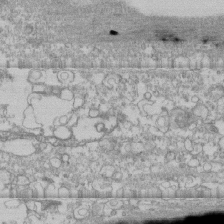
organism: Human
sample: CRL-1474